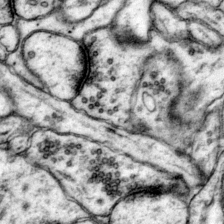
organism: Mouse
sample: Primary visual cortex